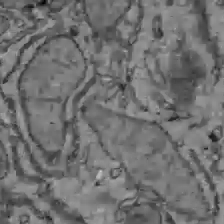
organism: C57BL Mouse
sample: Liver